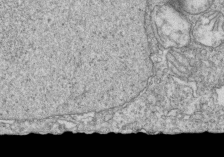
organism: Human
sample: HeLa cell HIV synapse